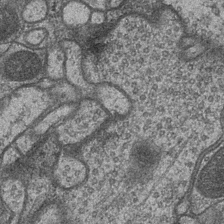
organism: Drosophila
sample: Optic medulla